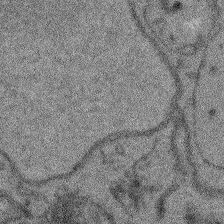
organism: Arabidopsis thaliana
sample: Root tip